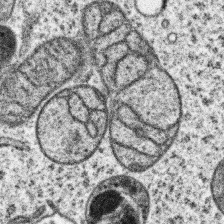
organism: Human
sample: HeLa cells